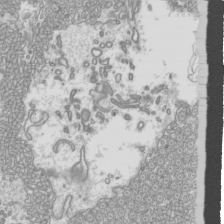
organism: Mouse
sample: Cilia; mouse epididymis